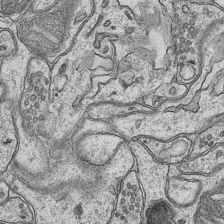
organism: Mouse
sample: CA1 Hippocampus